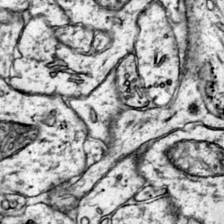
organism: Mouse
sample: Primary visual cortex